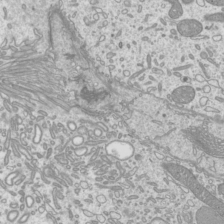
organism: Mouse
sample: Cilia; mouse epididymis